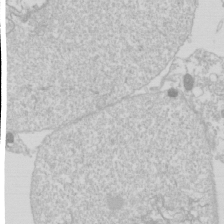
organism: Drosophila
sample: Cell division; meiosis; drosophila spermatocytes